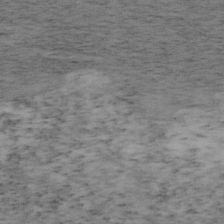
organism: Mouse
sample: OT-I killer T cells with ID8 ovarian cancer cells